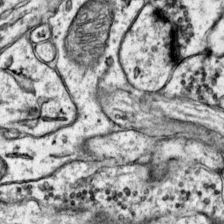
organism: Mouse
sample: Primary visual cortex